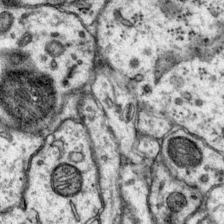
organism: Mouse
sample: Primary visual cortex